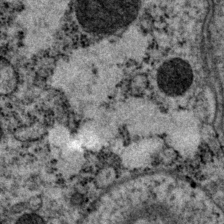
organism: P. pacificus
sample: Pharynx